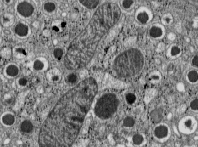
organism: C57BL Mouse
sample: Pancreatic islet